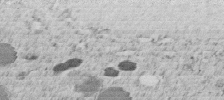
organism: C. elegans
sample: C. elegans embryo early stage